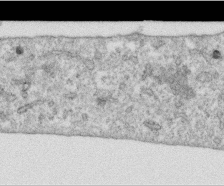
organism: Human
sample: Centriole in RPE cells